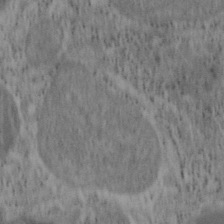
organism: Mouse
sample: OT-I killer T cells with ID8 ovarian cancer cells